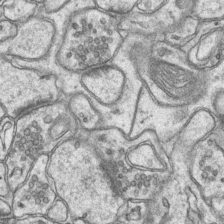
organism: Mouse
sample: CA1 Hippocampus